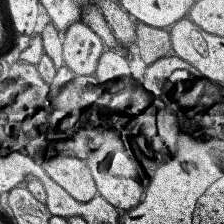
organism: Human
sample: Temporal Lobe